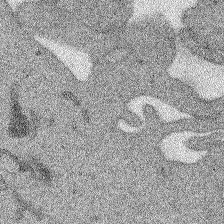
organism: Human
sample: HeLa cells